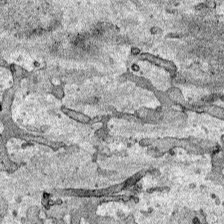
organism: Human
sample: Mitochondria in HCT116 cells